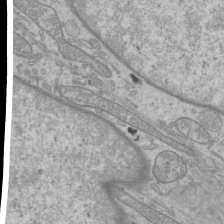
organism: Mouse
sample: Cilia; mouse epididymis